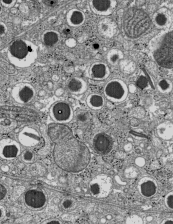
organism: C57BL Mouse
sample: Pancreatic islet